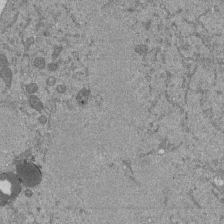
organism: Mouse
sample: ED-1 cell nuclei; centrioles